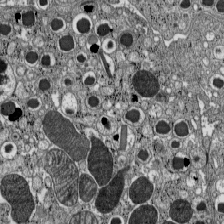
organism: C57BL Mouse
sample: Pancreatic islet